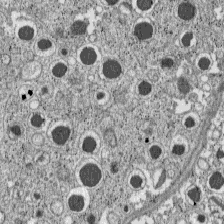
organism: C57BL Mouse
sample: Pancreatic islet